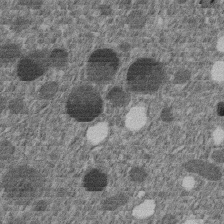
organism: C. elegans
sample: C. elegans embryo early stage